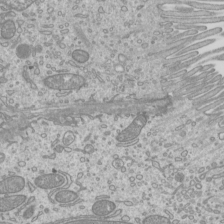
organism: Mouse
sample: Cilia; mouse epididymis